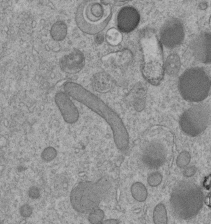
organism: C. elegans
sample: C. elegans embryo early stage